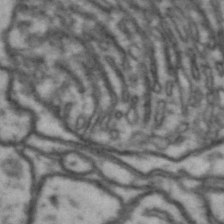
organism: Drosophila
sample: Brain